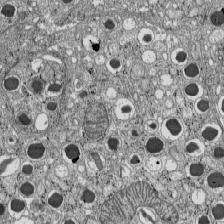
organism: C57BL Mouse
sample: Pancreatic islet